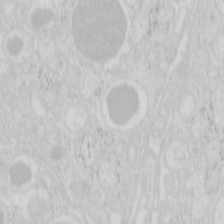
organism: Mouse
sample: Pancreas